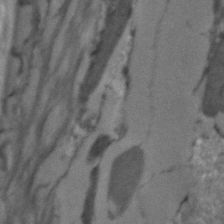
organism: C. elegans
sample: C. elegans embryo